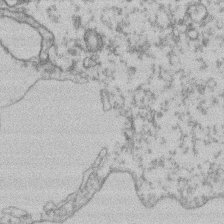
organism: Mouse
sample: T cell stromal cell synapse